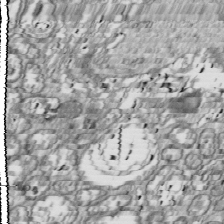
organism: Drosophila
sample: Cell division; meiosis; drosophila spermatocytes